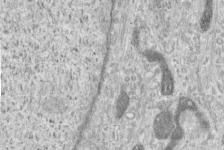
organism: Human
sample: Centriole in RPE cells